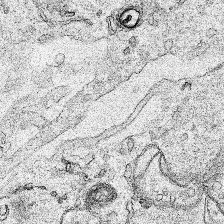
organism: Human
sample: Mitochondria in HCT116 cells